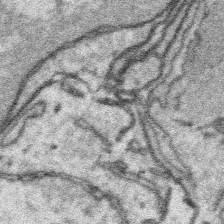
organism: Platynereis dumerilii